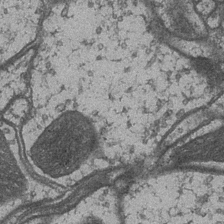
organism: Drosophila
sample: Optic medulla